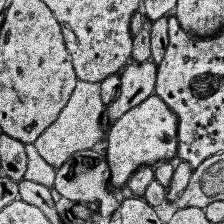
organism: Human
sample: Temporal Lobe